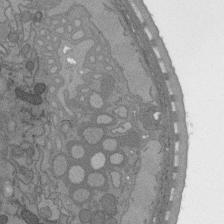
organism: C. elegans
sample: AFD neurons C. elegans